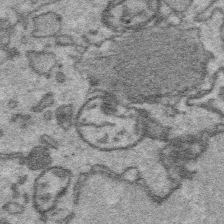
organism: Platynereis dumerilii